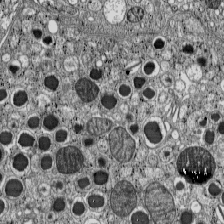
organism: C57BL Mouse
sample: Pancreatic islet